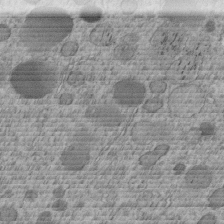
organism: C. elegans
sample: C. elegans embryo early stage